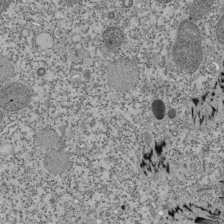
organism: Tetrahymena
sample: Cilia in tetrahymena